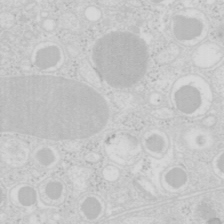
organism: Mouse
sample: Pancreas